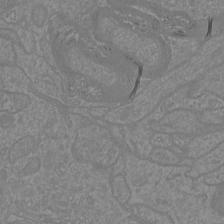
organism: Mouse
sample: Cortical neurons